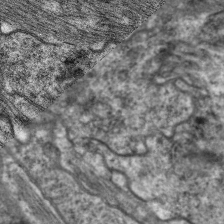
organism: C. elegans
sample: Pharynx